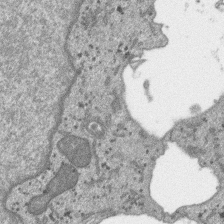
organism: Human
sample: Lung epithelial cells infected with SARS-CoV-2